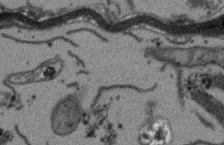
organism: Arabidopsis thaliana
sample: Root tip